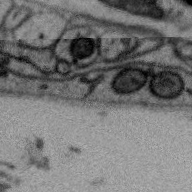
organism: Zebra finch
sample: Brain